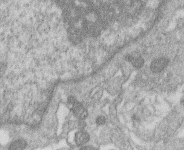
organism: Human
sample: Macrophage cells